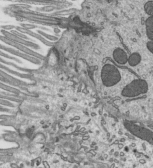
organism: Mouse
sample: Mouse epididymis efferent ductule cilia